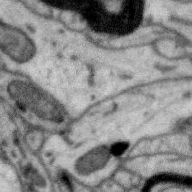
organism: Zebra finch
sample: Brain